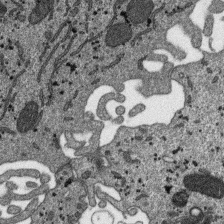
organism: Human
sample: Lung epithelial cells infected with SARS-CoV-2